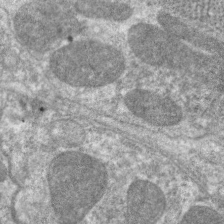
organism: C. elegans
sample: Pharynx